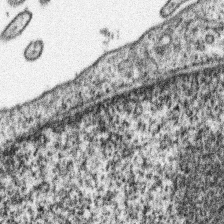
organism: Human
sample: HeLa cells